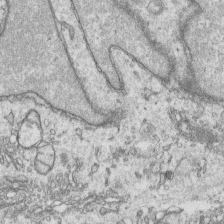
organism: Human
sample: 1205lu cells